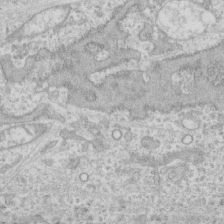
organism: Human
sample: CRL-1474